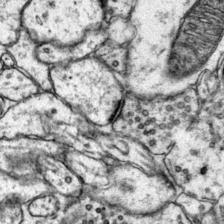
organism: Mouse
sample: Primary visual cortex